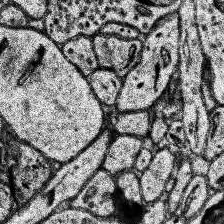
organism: Human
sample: Temporal Lobe